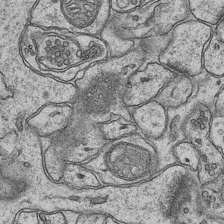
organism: Mouse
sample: CA1 Hippocampus